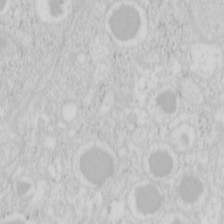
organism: Mouse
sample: Pancreas